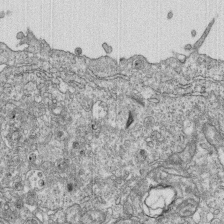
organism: Human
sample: HeLa cell HIV synapse